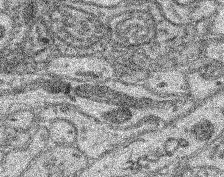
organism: Mouse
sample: Retina